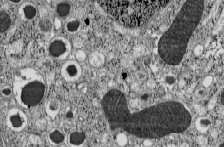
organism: C57BL Mouse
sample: Pancreatic islet